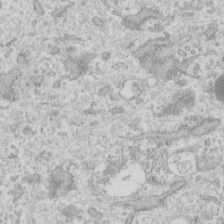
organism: Human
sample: Fibroblast cells